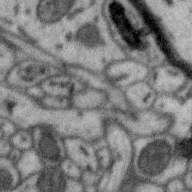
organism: Zebra finch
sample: Brain